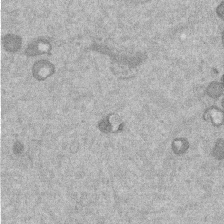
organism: Mouse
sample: Dividing mouse embryo 1 cell stage